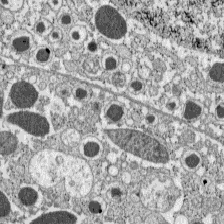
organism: C57BL Mouse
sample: Pancreatic islet